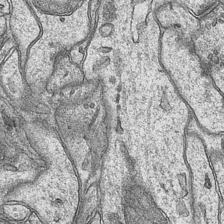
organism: Mouse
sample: CA1 Hippocampus